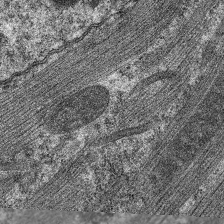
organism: C. elegans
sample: Pharynx